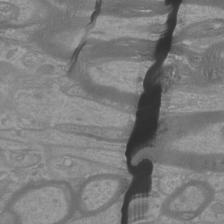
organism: Mouse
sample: Cortical neurons